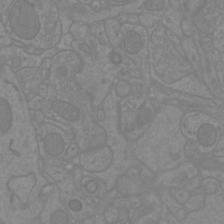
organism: Mouse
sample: Cortical neurons